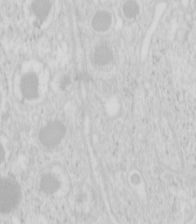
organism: Mouse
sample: Pancreas